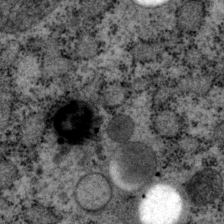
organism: P. pacificus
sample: Pharynx